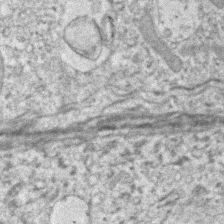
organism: Human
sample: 1205lu cells